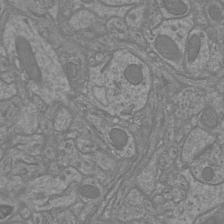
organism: Mouse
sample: Cortical neurons